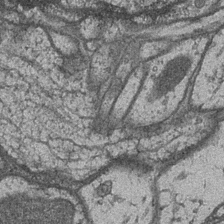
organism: Drosophila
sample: Optic medulla